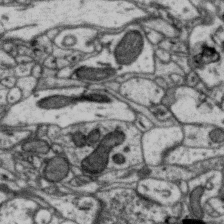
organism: Zebra finch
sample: Brain